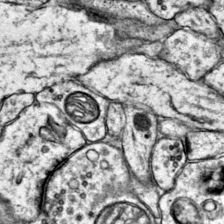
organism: Mouse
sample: Primary visual cortex